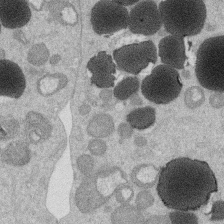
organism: Mouse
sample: Dividing mouse embryo 1 cell stage